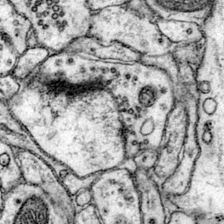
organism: Mouse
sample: Primary visual cortex